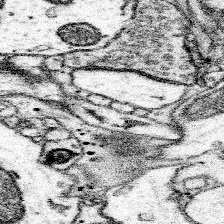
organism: Mouse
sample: Somatosensory cortex neuropil